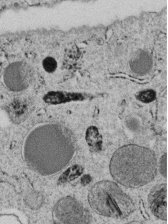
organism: C. elegans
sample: C. elegans embryo early stage